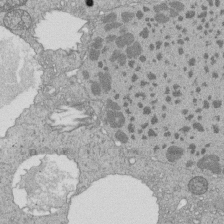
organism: Tetrahymena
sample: Cilia in tetrahymena